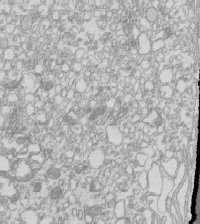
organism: Mouse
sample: Macrophages